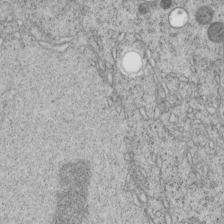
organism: C. elegans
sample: C. elegans embryo early stage